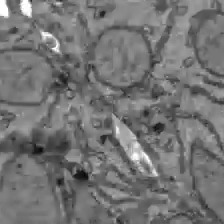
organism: C57BL Mouse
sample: Liver